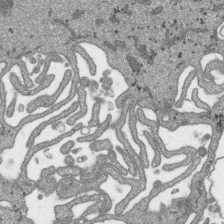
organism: Human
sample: Lung epithelial cells infected with SARS-CoV-2